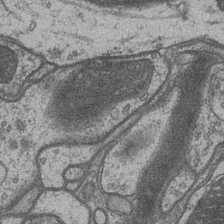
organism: Drosophila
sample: Optic medulla